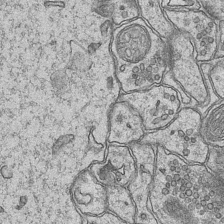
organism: Mouse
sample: CA1 Hippocampus